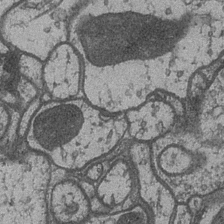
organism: Drosophila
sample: Optic medulla